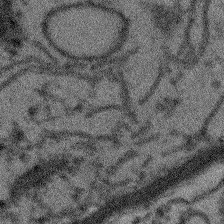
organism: Arabidopsis thaliana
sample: Root tip